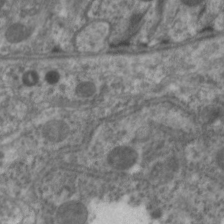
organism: C. elegans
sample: Pharynx